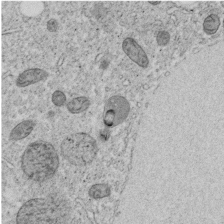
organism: C. elegans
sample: C. elegans embryo early stage